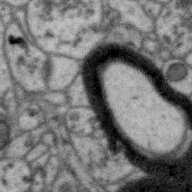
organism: Zebra finch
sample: Brain